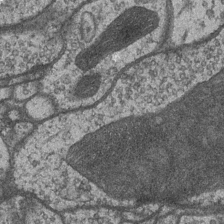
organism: Drosophila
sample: Optic medulla